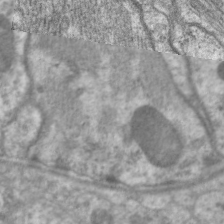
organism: C. elegans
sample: Pharynx